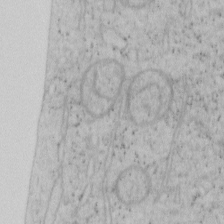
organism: Human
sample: HeLa cells